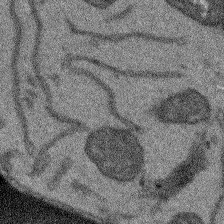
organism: Arabidopsis thaliana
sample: Root tip